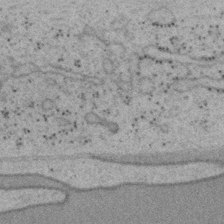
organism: Human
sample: HeLa cells